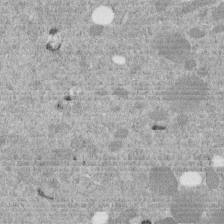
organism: C. elegans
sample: C. elegans embryo early stage